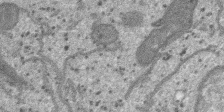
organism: Human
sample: Lung epithelial cells infected with SARS-CoV-2